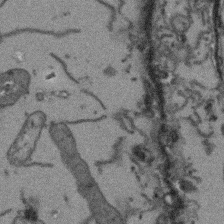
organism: Arabidopsis thaliana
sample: Root tip